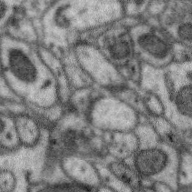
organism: Zebra finch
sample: Brain